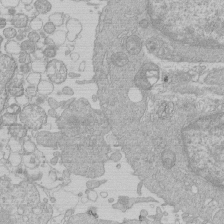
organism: Human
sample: Macrophage cells